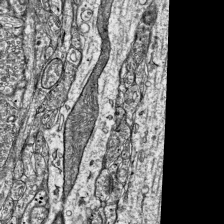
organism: Mouse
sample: Visual Cortex